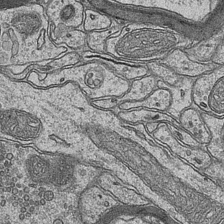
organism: Mouse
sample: CA1 Hippocampus